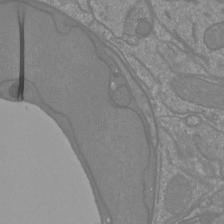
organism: Mouse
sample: Cortical neurons